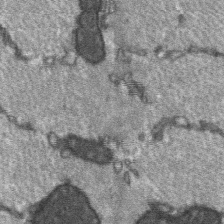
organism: C57BL Mouse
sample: Soleus